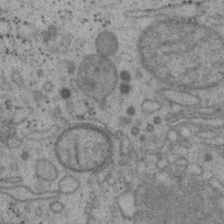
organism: Human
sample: HeLa cells